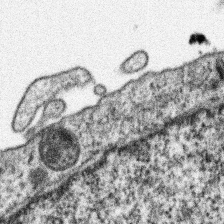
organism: Human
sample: HeLa cells